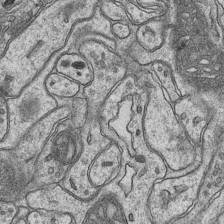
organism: Mouse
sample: CA1 Hippocampus